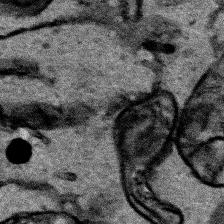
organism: Human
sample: Mitochondria in HCT116 cells